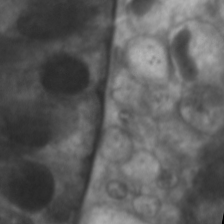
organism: C. elegans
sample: Pharynx